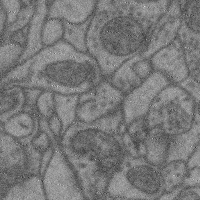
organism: Mouse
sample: Cerebral cortex